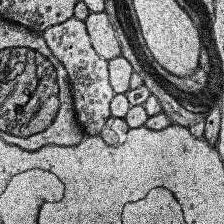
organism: Human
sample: Temporal Lobe